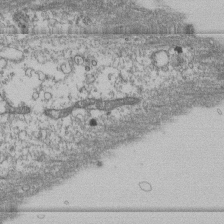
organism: Human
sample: Fibroblast cells